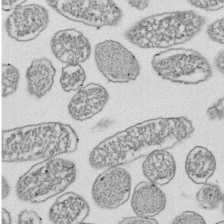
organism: E. coli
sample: Bacterial nucleoid